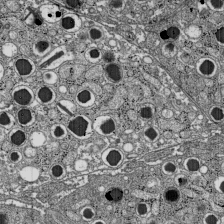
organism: C57BL Mouse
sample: Pancreatic islet